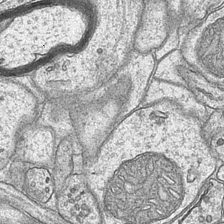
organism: Mouse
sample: CA1 Hippocampus